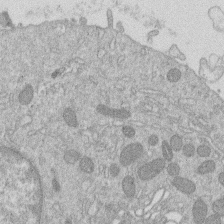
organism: Human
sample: Macrophage cells